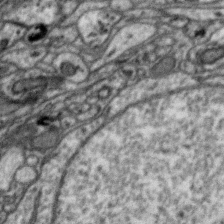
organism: Zebra finch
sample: Brain